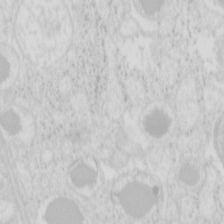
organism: Mouse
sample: Pancreas